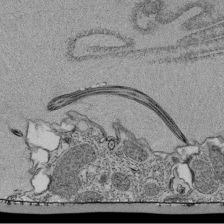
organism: Tetrahymena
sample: Cilia in tetrahymena